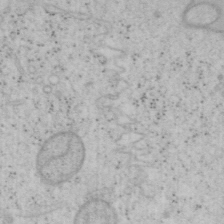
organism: Human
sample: HeLa cells